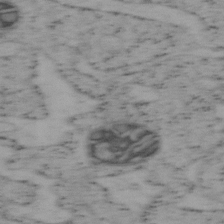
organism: Mouse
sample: OT-I killer T cells with ID8 ovarian cancer cells